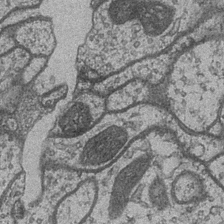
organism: Drosophila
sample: Optic medulla